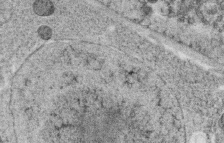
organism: C. elegans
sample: C. elegans oocyte; sperm cells